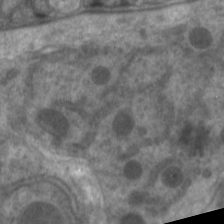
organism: C. elegans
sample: Pharynx